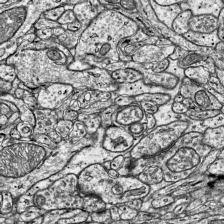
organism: Mouse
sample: Visual Cortex